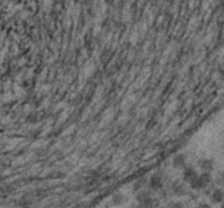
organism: C. elegans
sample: C. elegans embryo